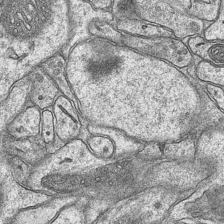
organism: Mouse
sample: CA1 Hippocampus